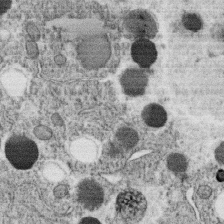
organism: C. elegans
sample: C. elegans oocyte; sperm cells